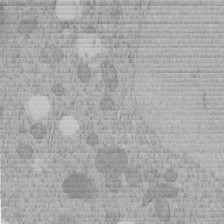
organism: C. elegans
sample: C. elegans embryo early stage